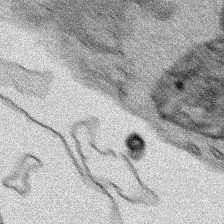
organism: Human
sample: Mitochondria in HCT116 cells